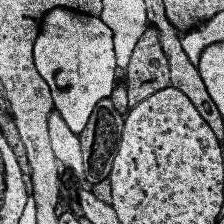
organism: Human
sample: Temporal Lobe